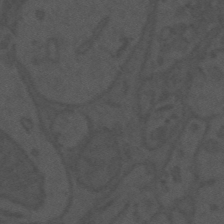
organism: Mouse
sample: Suprachiasmatic nucleus